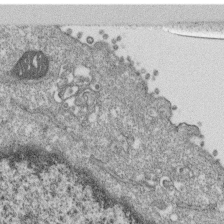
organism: African green monkey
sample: Vero E6 cells infected with SARS-CoV-2